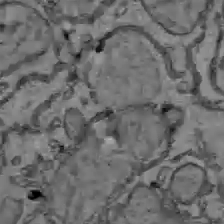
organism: C57BL Mouse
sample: Liver